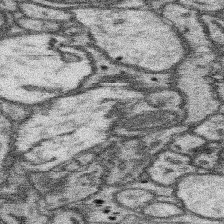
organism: Mouse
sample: Somatosensory cortex neuropil